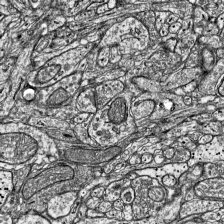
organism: Mouse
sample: Visual Cortex